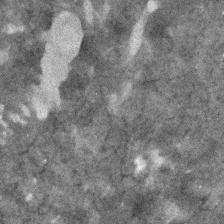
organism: Human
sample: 1205lu cells